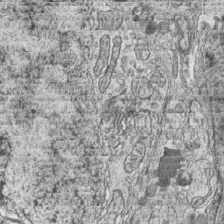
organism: Zebrafish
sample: synaptic ribbons in rod cells and cone cells